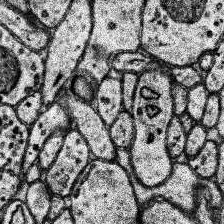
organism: Human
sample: Temporal Lobe